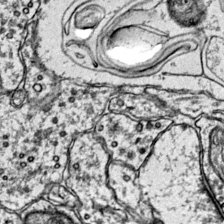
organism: Mouse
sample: Primary visual cortex